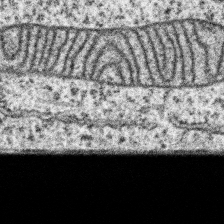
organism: Human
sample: HeLa cells